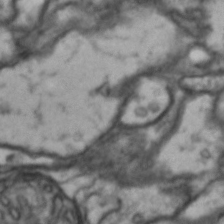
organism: Drosophila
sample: Brain